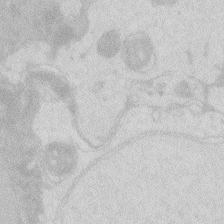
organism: Zebrafish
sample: Macrophage